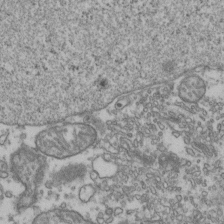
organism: Human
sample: Activated Jurkat CD4+ T cells